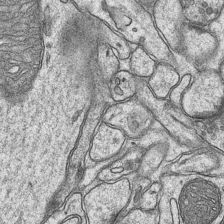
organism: Mouse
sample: CA1 Hippocampus